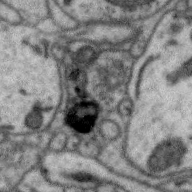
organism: Zebra finch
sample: Brain